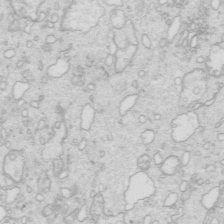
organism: Mouse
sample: Multiciliated cells